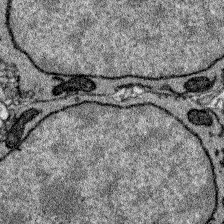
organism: Zebrafish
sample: Larval olfactory bulb